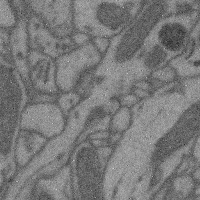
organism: Mouse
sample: Cerebral cortex